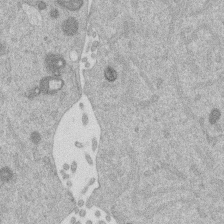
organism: Mouse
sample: Dividing mouse embryo 1 cell stage